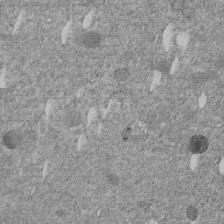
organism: C. elegans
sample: C. elegans embryo early stage